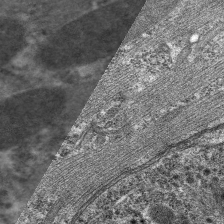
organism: C. elegans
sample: Pharynx